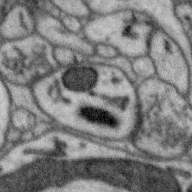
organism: Zebra finch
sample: Brain